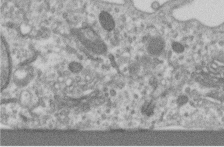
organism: Human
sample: Centriole in RPE cells